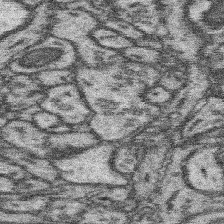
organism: Mouse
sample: Somatosensory cortex neuropil